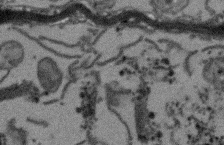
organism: Arabidopsis thaliana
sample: Root tip